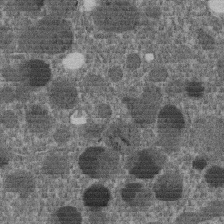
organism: C. elegans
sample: C. elegans embryo early stage